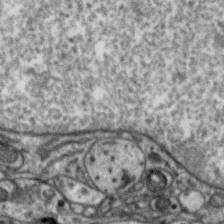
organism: Zebra finch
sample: Brain